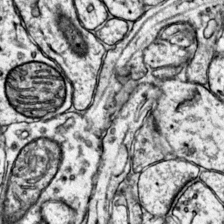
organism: Mouse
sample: Primary visual cortex